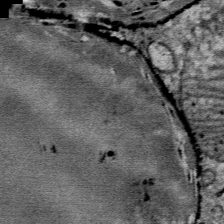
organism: Mouse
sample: Mouse Salivary gland